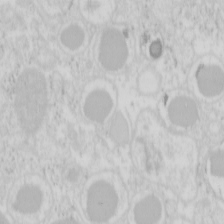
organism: Mouse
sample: Pancreas